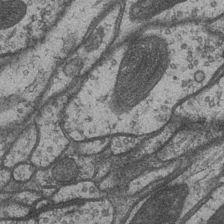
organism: Drosophila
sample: Optic medulla